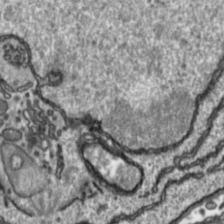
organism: Toxoplasma gondii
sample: Parasites in a vacuole inside a host cell